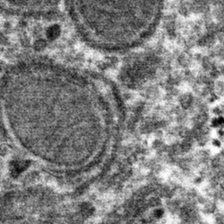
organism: Mouse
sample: Mouse hepatocytes